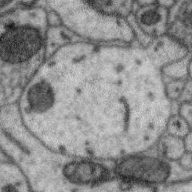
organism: Zebra finch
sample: Brain